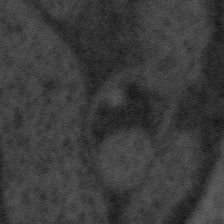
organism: Tuwongella immobilis